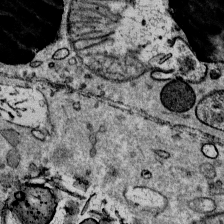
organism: Mouse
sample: Mouse Salivary gland